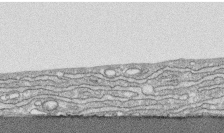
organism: Human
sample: CRL-1474